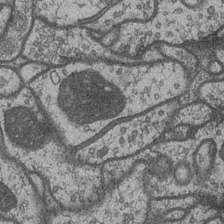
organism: Drosophila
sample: Optic medulla